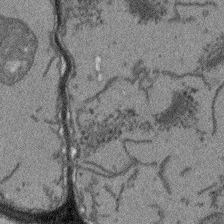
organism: Arabidopsis thaliana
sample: Root tip